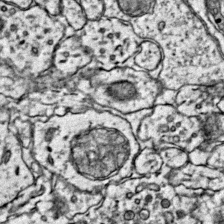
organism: Mouse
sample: Primary visual cortex